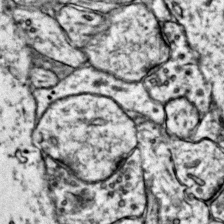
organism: Mouse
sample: Primary visual cortex